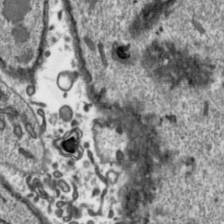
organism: Toxoplasma gondii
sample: Parasites in a vacuole inside a host cell